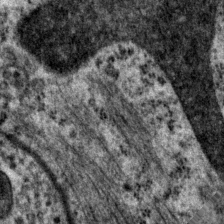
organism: P. pacificus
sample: Pharynx